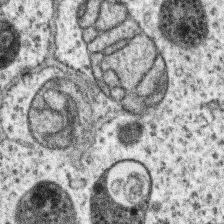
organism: Human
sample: HeLa cells